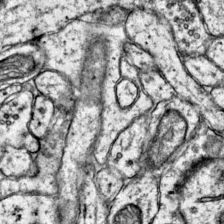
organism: Mouse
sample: Primary visual cortex